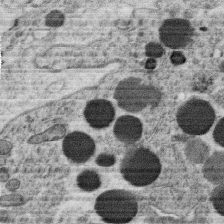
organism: C. elegans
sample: C. elegans oocyte; sperm cells